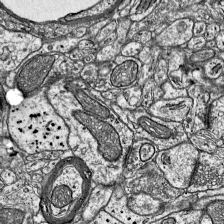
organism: Mouse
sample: Visual Cortex